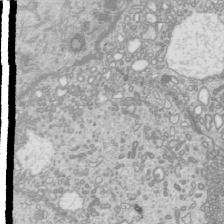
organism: Mouse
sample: Cilia; mouse epididymis